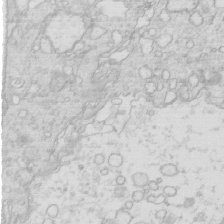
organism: Mouse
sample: Multiciliated cells